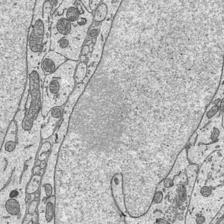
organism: Mouse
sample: Suprachiasmatic nucleus